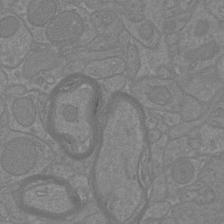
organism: Mouse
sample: Cortical neurons